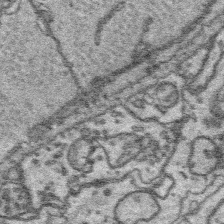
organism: Platynereis dumerilii